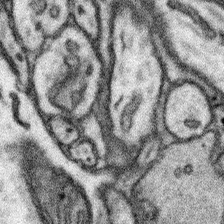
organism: Mouse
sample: Somatosensory cortex neuropil